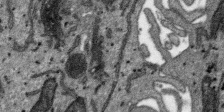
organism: Human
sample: Lung epithelial cells, uninfected (mock) control